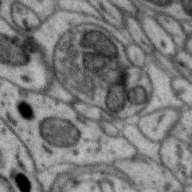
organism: Zebra finch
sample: Brain